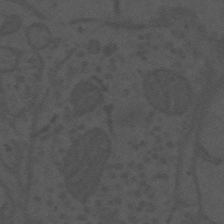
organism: Mouse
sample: Suprachiasmatic nucleus